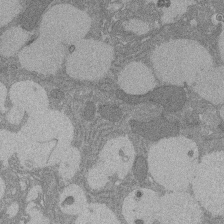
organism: Rat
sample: Salivary granule